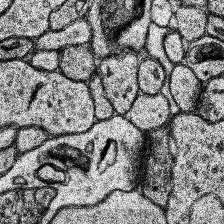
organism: Human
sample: Temporal Lobe